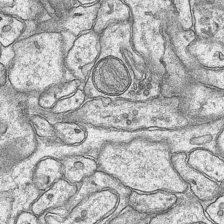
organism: Mouse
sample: CA1 Hippocampus